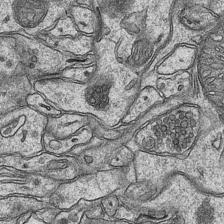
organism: Mouse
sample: CA1 Hippocampus